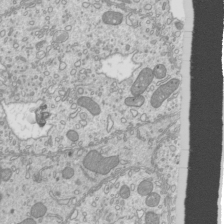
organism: Mouse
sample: Cilia; mouse epididymis